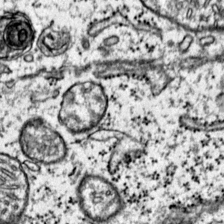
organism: Mouse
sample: Primary visual cortex